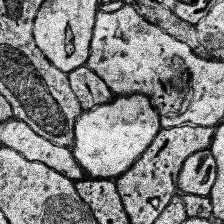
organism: Human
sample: Temporal Lobe